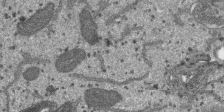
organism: Human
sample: Lung epithelial cells infected with SARS-CoV-2